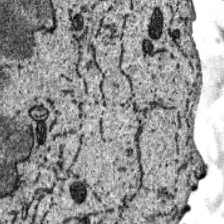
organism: Human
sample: HeLa cells